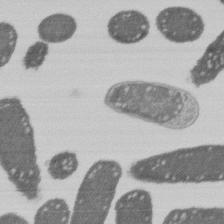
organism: E. coli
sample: Bacterial nucleoid